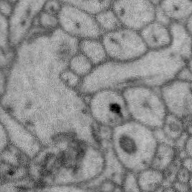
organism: Zebra finch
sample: Brain